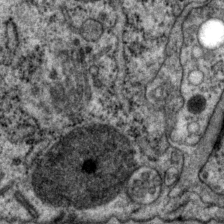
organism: P. pacificus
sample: Pharynx